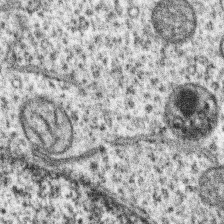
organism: Human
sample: HeLa cells